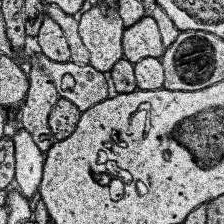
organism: Human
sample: Temporal Lobe